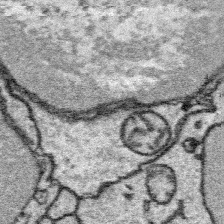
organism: Platynereis dumerilii